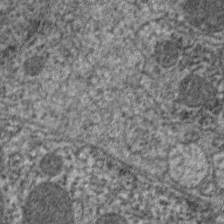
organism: C. elegans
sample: Pharynx